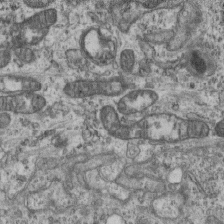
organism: Mouse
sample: Centriole in ependymal cells